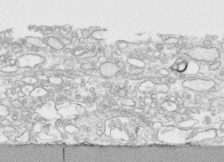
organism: Human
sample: CRL-1474